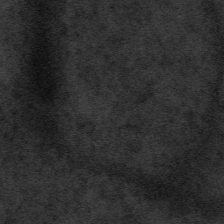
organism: Tuwongella immobilis